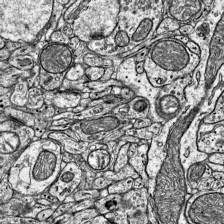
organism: Mouse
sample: Visual Cortex